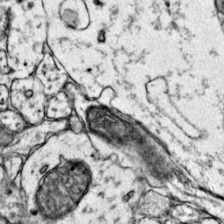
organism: Mouse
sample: Primary visual cortex